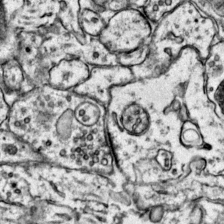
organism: Mouse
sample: Primary visual cortex